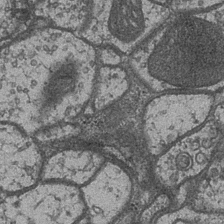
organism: Drosophila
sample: Optic medulla